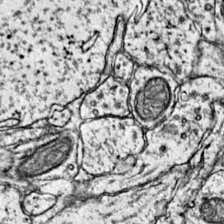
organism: Mouse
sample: Primary visual cortex